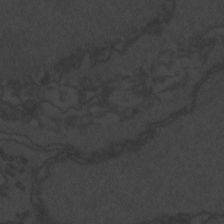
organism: Zebrafish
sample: Macrophage infected with Toxoplasma gondii